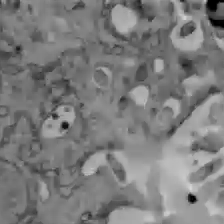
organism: C57BL Mouse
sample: Liver